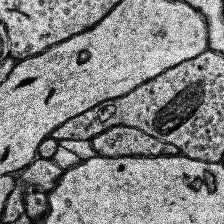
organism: Human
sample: Temporal Lobe